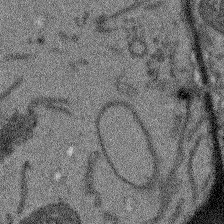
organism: Arabidopsis thaliana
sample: Root tip